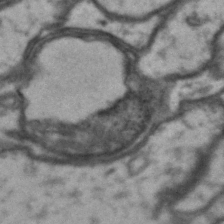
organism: Drosophila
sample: Brain